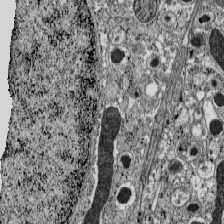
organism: C57BL Mouse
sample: Pancreatic islet